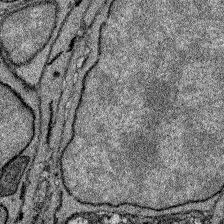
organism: Zebrafish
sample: Larval olfactory bulb